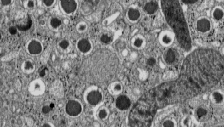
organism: C57BL Mouse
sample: Pancreatic islet